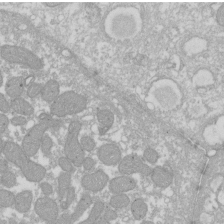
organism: Xenopus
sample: Cilia; centrioles in frog embryo cells